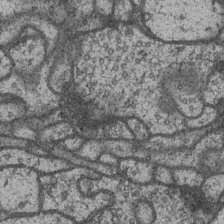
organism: Drosophila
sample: Optic medulla